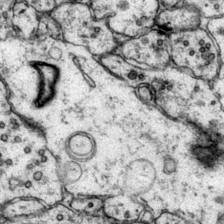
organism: Mouse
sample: Primary visual cortex